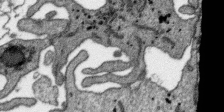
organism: Human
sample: Lung epithelial cells, uninfected (mock) control